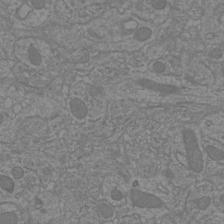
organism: Mouse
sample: Cortical neurons